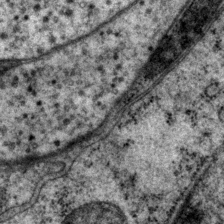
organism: P. pacificus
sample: Pharynx